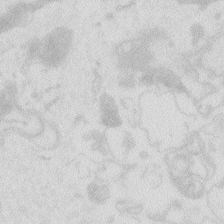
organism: Zebrafish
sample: Macrophage